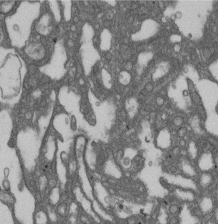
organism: Drosophila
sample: Nephrocyte